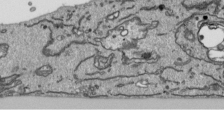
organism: Human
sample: Mitochondria in HCT116 cells